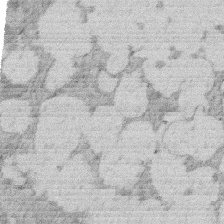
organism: Rat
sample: Salivary granule